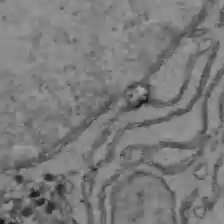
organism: C57BL Mouse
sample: Liver